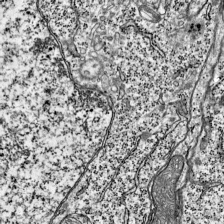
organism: Mouse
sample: Visual Cortex